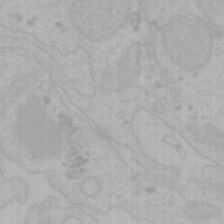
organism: Mouse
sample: Choroid plexus